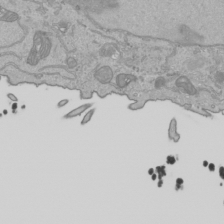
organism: Human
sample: Mitochondria in HCT116 cells